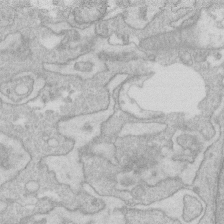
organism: Human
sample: Fibroblast cells